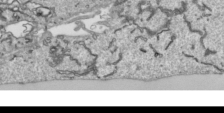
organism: Human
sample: Mitochondria in HCT116 cells